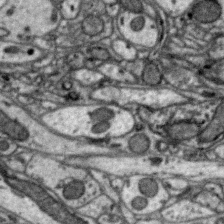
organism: Zebra finch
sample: Brain